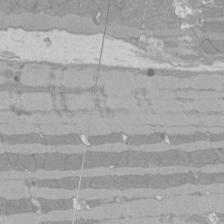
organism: Rat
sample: Left ventricle